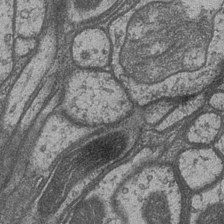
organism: Drosophila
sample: Optic medulla